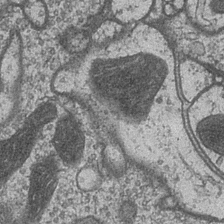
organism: Drosophila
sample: Optic medulla